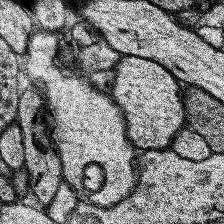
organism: Human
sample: Temporal Lobe